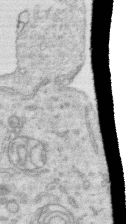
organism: Human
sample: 1205lu cells